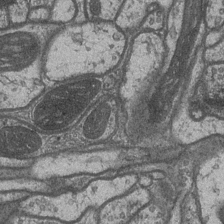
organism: Drosophila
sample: Optic medulla